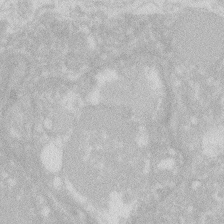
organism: Zebrafish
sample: Macrophage